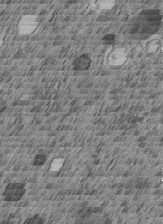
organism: C. elegans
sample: C. elegans embryo early stage